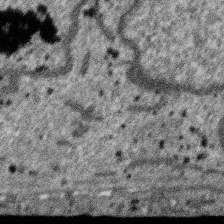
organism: Human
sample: Lung epithelial cells infected with SARS-CoV-2